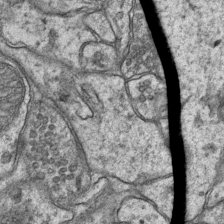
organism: Mouse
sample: CA1 Hippocampus